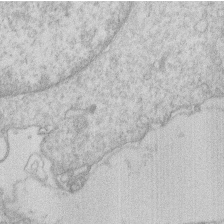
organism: Human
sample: Macrophage cells